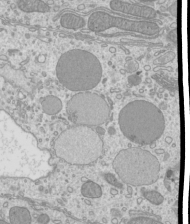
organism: Mouse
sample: Cilia; mouse epididymis